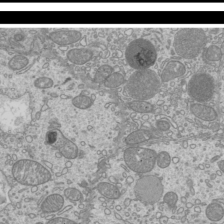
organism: Mouse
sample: Cilia; mouse epididymis